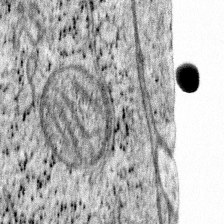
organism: Human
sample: HeLa cells